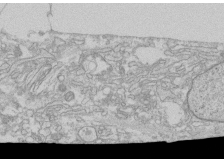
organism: Human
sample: CRL-1474